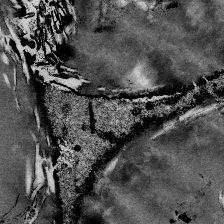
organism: Mouse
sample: Mouse Salivary gland